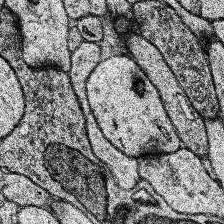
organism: Human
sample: Temporal Lobe